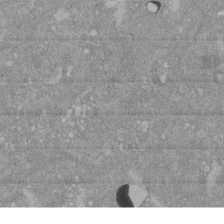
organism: Mouse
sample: ED-1 cell nuclei; centrioles